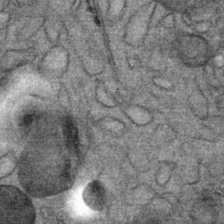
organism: Mouse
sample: Mouse Salivary gland